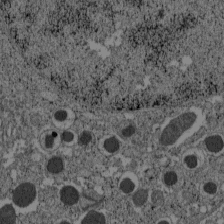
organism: C57BL Mouse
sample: Pancreatic islet